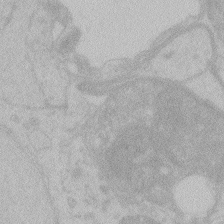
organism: Zebrafish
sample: Macrophage infected with Toxoplasma gondii